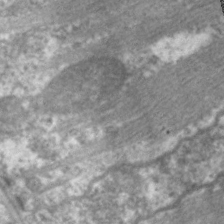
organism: C. elegans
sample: Pharynx